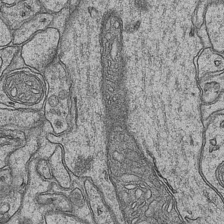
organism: Mouse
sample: CA1 Hippocampus